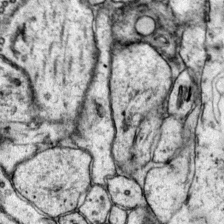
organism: Mouse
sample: Primary visual cortex